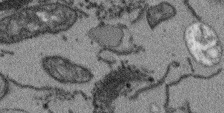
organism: Arabidopsis thaliana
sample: Root tip